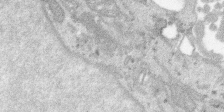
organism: Human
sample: Lung epithelial cells infected with SARS-CoV-2